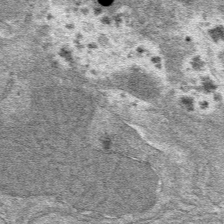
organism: Mouse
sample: Mouse hepatocytes